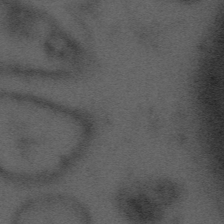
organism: Tuwongella immobilis